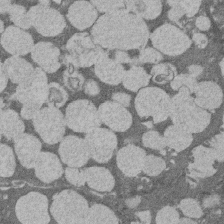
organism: Rat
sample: Salivary granule